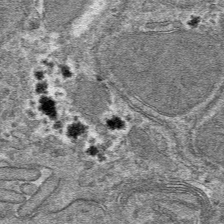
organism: Mouse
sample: Mouse hepatocytes